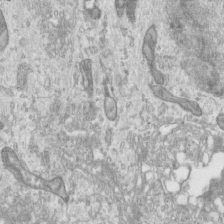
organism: Human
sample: Centriole in RPE cells